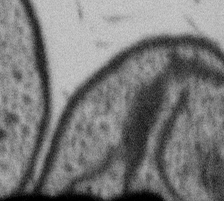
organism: Gemmata obscuriglobus